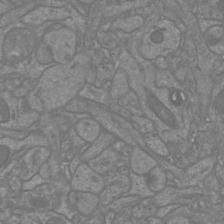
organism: Mouse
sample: Cortical neurons